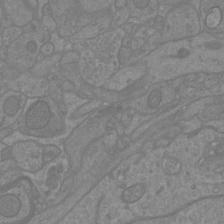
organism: Mouse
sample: Cortical neurons